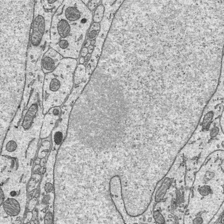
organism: Mouse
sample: Suprachiasmatic nucleus